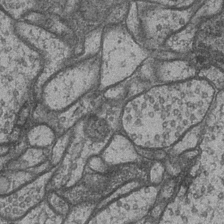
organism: Drosophila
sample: Optic medulla